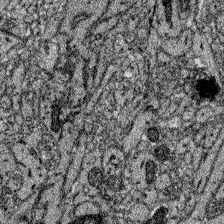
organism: Zebrafish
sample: Larval olfactory bulb